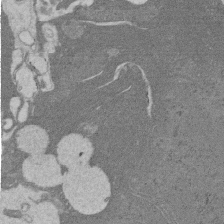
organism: Rat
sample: Salivary granule